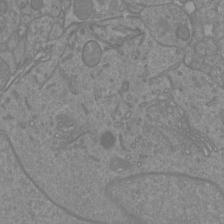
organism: Mouse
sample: Cortical neurons